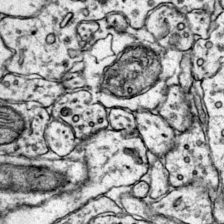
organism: Mouse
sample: Primary visual cortex